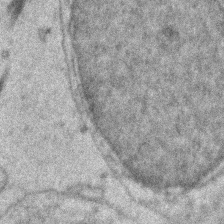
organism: Zebrafish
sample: Zebrafish embryo